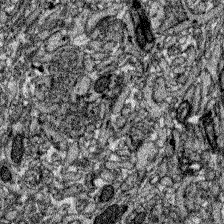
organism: Zebrafish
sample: Larval olfactory bulb